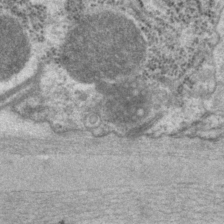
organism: P. pacificus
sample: Pharynx